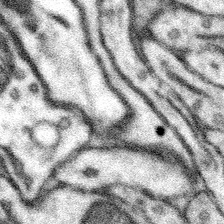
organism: Mouse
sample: Somatosensory cortex neuropil